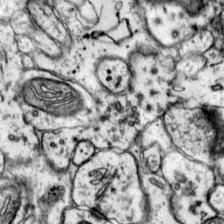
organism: Mouse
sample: Primary visual cortex